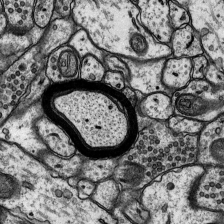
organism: Rat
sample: Hippocampus